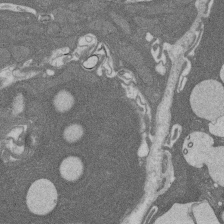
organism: Rat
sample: Salivary granule